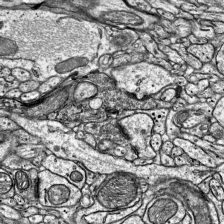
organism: Mouse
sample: Visual Cortex